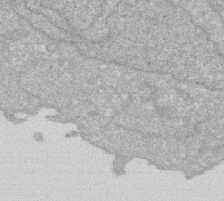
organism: Human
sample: HIV infected U937 cells